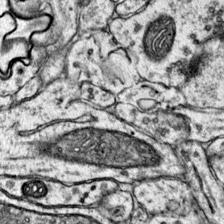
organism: Mouse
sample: Primary visual cortex